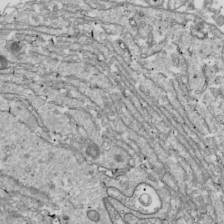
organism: Drosophila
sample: Cell division; meiosis; drosophila spermatocytes